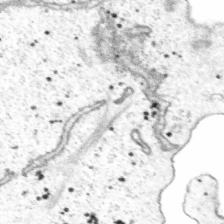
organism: Human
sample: HeLa cells